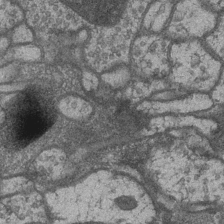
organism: Drosophila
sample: Optic medulla